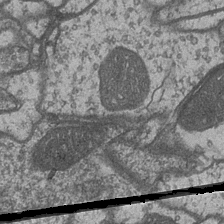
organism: Drosophila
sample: Optic medulla